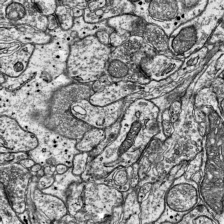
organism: Mouse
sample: Visual Cortex